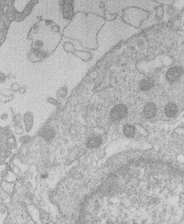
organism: Human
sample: Macrophage cells